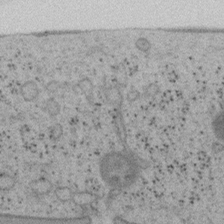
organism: Human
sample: HeLa cells